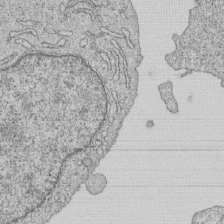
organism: Human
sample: MDA-MB-231 cells